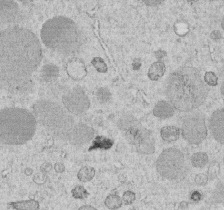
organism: C. elegans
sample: C. elegans embryo early stage